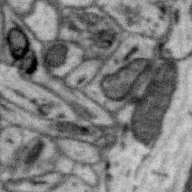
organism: Zebra finch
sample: Brain